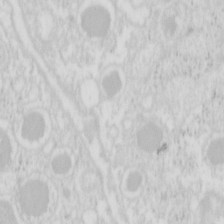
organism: Mouse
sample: Pancreas